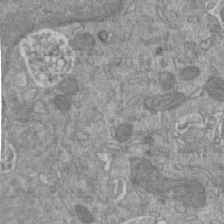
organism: Mouse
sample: ED-1 cell nuclei; centrioles